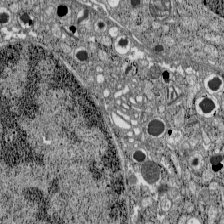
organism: C57BL Mouse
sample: Pancreatic islet